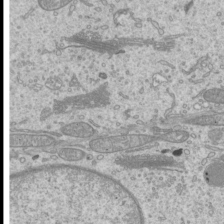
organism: Mouse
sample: Cilia; mouse epididymis